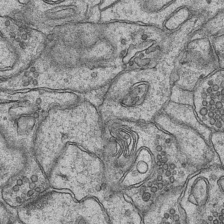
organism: Mouse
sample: CA1 Hippocampus